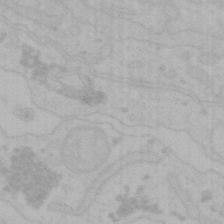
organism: Mouse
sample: Choroid plexus